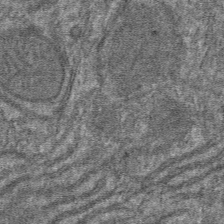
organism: Mouse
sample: Mouse hepatocytes